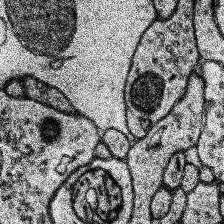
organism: Human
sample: Temporal Lobe